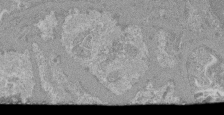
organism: Mouse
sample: Glomerulus